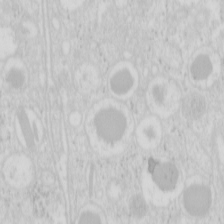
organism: Mouse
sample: Pancreas